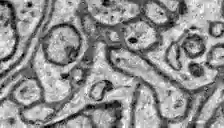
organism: Zebrafish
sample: Brain